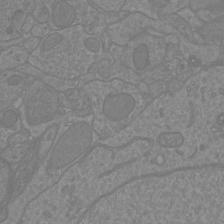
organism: Mouse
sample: Cortical neurons